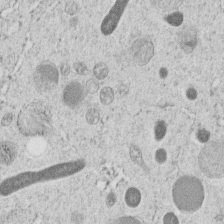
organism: C. elegans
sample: C. elegans embryo early stage